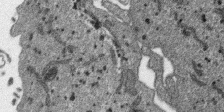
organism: Human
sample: Lung epithelial cells infected with SARS-CoV-2